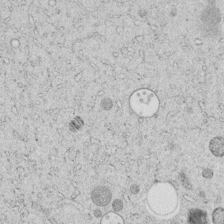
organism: C. elegans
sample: C. elegans embryo early stage